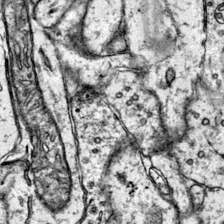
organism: Mouse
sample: Primary visual cortex